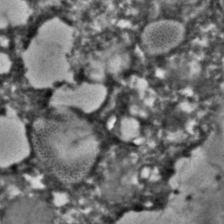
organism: C. elegans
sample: C. elegans embryo